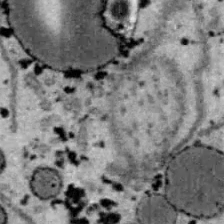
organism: Mouse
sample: Liver from an obese (ob/ob) mouse